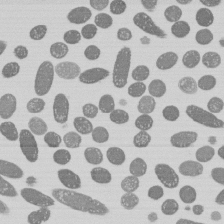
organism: E. coli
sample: Bacterial nucleoid